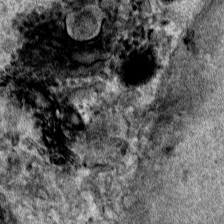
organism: Human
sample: Mitochondria in HCT116 cells